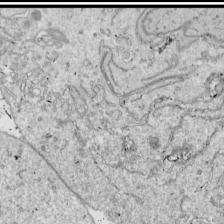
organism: Drosophila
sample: Cell division; meiosis; drosophila spermatocytes